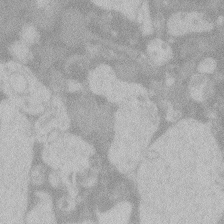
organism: Zebrafish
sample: Macrophage infected with Toxoplasma gondii